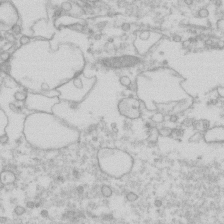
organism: Human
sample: Fibroblast cells